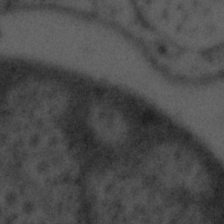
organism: Tuwongella immobilis